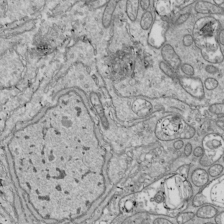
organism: Drosophila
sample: Cell division; meiosis; drosophila spermatocytes